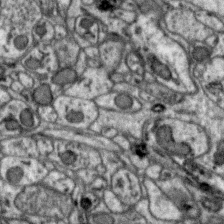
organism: Zebra finch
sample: Brain